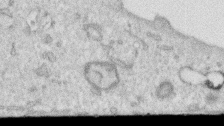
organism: Human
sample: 1205lu cells